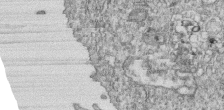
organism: Human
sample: HeLa cell HIV synapse